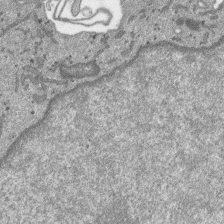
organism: Human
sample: Lung epithelial cells infected with SARS-CoV-2